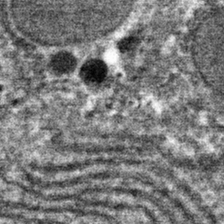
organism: Mouse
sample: Mouse hepatocytes